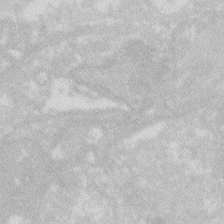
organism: Zebrafish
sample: Macrophage